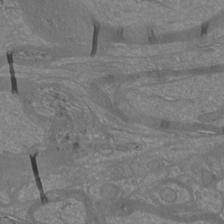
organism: Mouse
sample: Cortical neurons